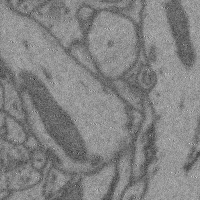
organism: Mouse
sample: Cerebral cortex